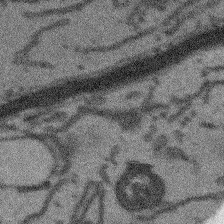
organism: Arabidopsis thaliana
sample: Root tip